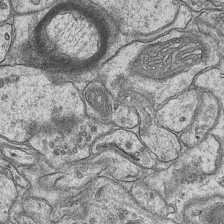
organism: Mouse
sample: CA1 Hippocampus